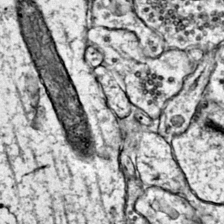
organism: Mouse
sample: Primary visual cortex